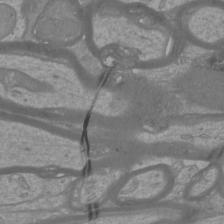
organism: Mouse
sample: Cortical neurons